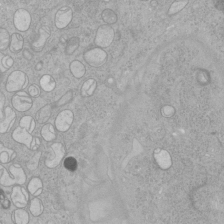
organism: Human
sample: Mitochondria in HCT116 cells